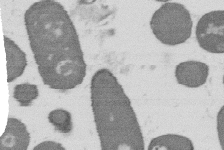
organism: B. subtilis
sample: Bacterial spore